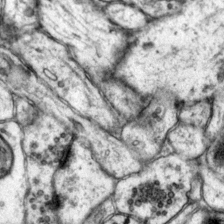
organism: Mouse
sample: Primary visual cortex